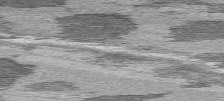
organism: C57BL Mouse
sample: Heart